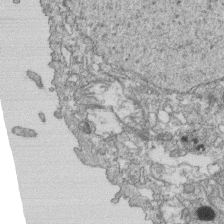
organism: Human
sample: HeLa cell HIV synapse